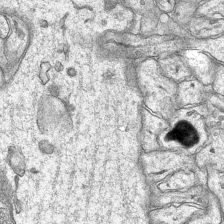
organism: Mouse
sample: CA1 Hippocampus